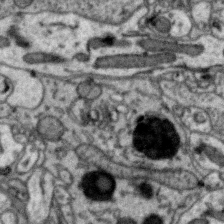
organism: Zebra finch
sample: Brain